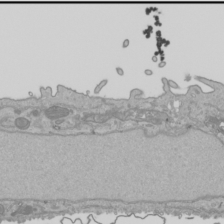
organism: Human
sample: Mitochondria in HCT116 cells